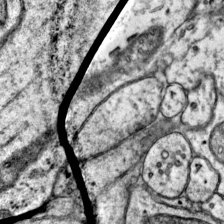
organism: Mouse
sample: Primary visual cortex